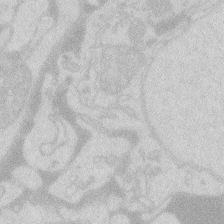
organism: Zebrafish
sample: Macrophage